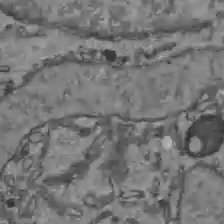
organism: C57BL Mouse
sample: Liver